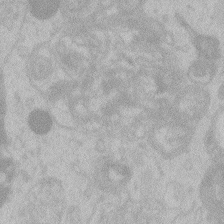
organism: Zebrafish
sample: Macrophage infected with Toxoplasma gondii